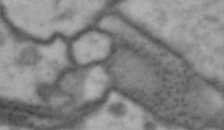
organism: Drosophila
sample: Brain